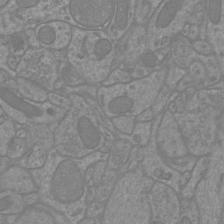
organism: Mouse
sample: Cortical neurons